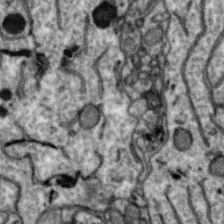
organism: Zebra finch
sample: Brain